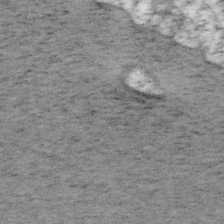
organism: Mouse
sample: OT-I killer T cells with ID8 ovarian cancer cells